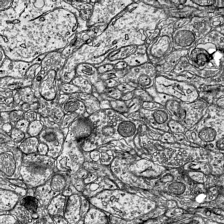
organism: Mouse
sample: Visual Cortex